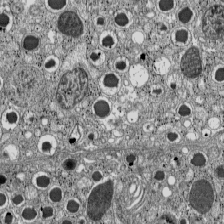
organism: C57BL Mouse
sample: Pancreatic islet